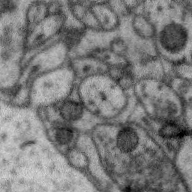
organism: Zebra finch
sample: Brain